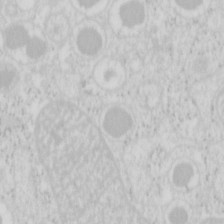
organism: Mouse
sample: Pancreas